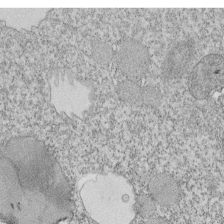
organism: Tetrahymena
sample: Cilia in tetrahymena